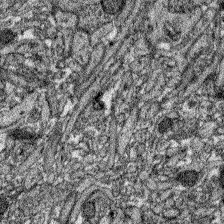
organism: Zebrafish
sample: Larval olfactory bulb